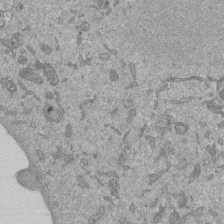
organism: Mouse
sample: ED-1 cell nuclei; centrioles